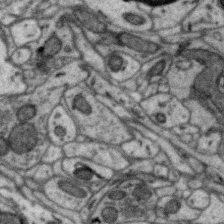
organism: Zebra finch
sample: Brain